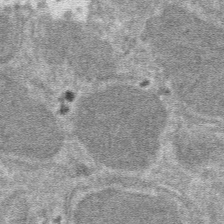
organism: Mouse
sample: Mouse hepatocytes